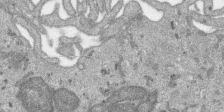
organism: Human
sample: Lung epithelial cells infected with SARS-CoV-2